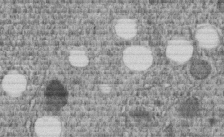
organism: C. elegans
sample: C. elegans embryo early stage